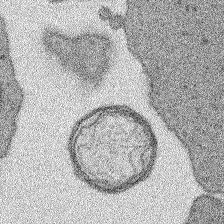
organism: Human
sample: HeLa cells